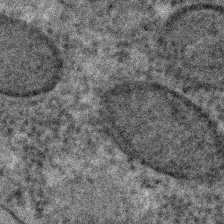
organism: C. elegans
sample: C. elegans embryo